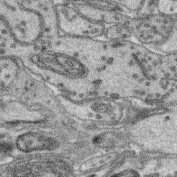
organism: Mouse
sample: Retina